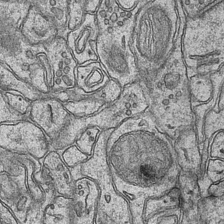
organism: Mouse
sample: CA1 Hippocampus